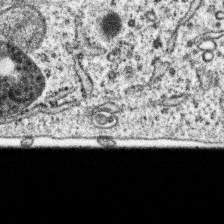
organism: Human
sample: HeLa cells